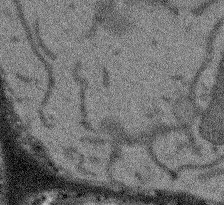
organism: Arabidopsis thaliana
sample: Root tip